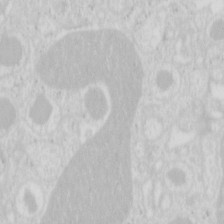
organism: Mouse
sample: Pancreas